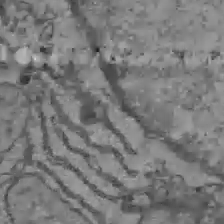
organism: C57BL Mouse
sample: Liver